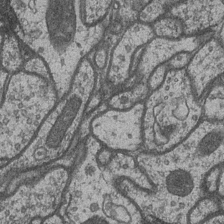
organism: Drosophila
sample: Optic medulla